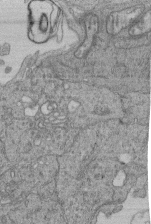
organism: Human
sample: Retinal organoid Rod and Cone cells